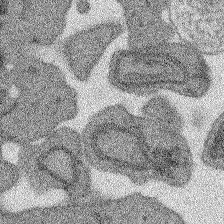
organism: Human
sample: HeLa cells